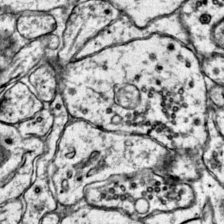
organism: Mouse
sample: Primary visual cortex